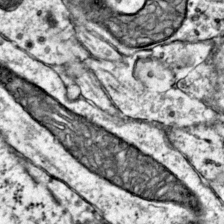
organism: Mouse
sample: Primary visual cortex